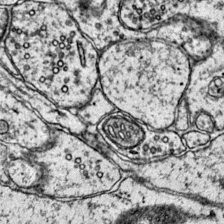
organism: Mouse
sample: Primary visual cortex